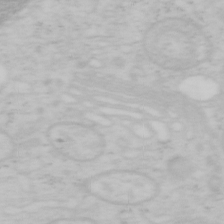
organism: Mouse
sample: OT-I killer T cells with ID8 ovarian cancer cells